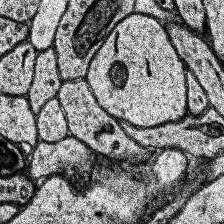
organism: Human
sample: Temporal Lobe